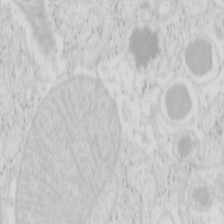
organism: Mouse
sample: Pancreas